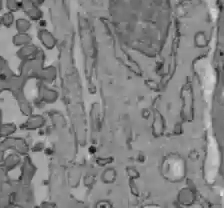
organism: C57BL Mouse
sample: Liver